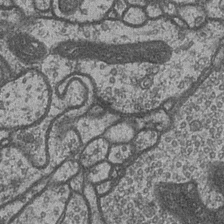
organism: Drosophila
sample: Optic medulla